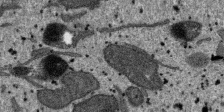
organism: Human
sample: Lung epithelial cells, uninfected (mock) control